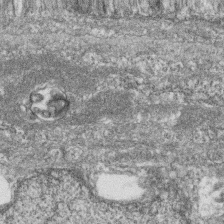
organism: Zebrafish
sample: Cilia; retinal pigment epithelium